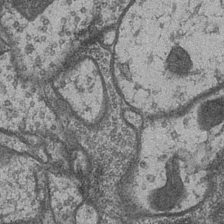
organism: Drosophila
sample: Optic medulla